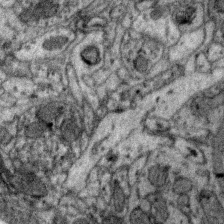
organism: Zebra finch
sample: Brain